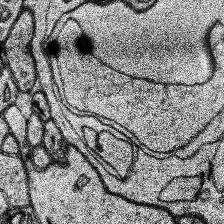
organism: Human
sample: Temporal Lobe